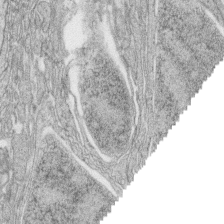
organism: Zebrafish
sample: synaptic ribbons in rod cells and cone cells